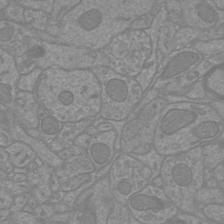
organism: Mouse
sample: Cortical neurons